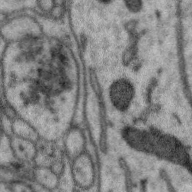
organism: Zebra finch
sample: Brain